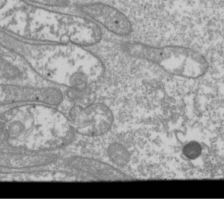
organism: Drosophila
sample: Cell division; meiosis; drosophila spermatocytes